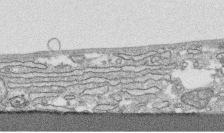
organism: Human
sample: CRL-1474